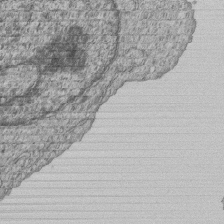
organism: Human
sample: MDA-MB-231 cells